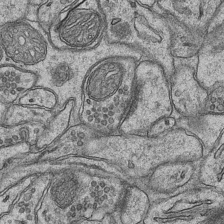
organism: Mouse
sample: CA1 Hippocampus